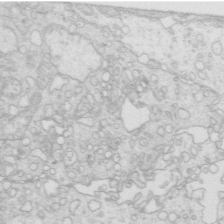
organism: Mouse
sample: Multiciliated cells